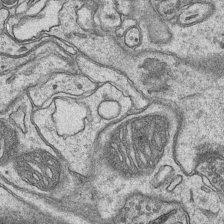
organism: Mouse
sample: CA1 Hippocampus